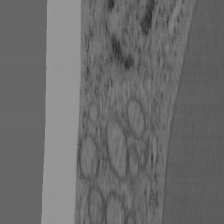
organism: Human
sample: HeLa cells